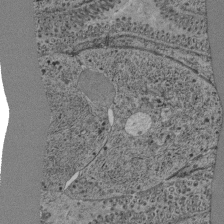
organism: C. elegans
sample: C. elegans pharynx